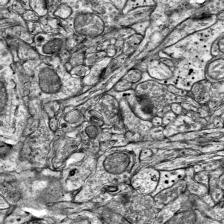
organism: Mouse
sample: Visual Cortex